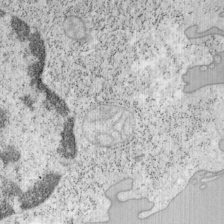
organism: Mouse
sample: OT-I killer T cells with ID8 ovarian cancer cells